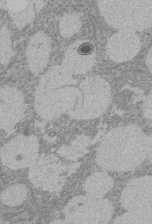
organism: Rat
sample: Salivary granule